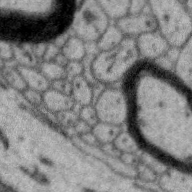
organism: Zebra finch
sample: Brain